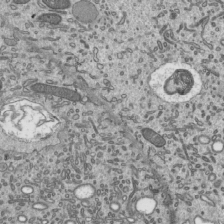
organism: Mouse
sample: Mouse epididymis efferent ductule cilia